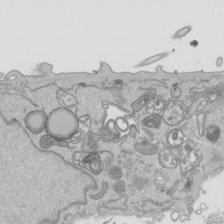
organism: Human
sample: Mitochondria in HCT116 cells